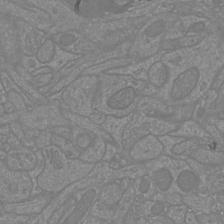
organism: Mouse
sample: Cortical neurons